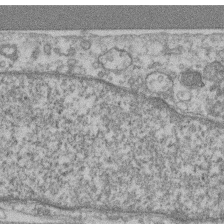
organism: Mouse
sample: T cell stromal cell synapse